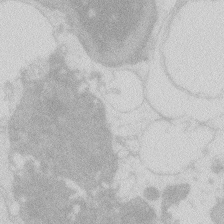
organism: Zebrafish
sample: Macrophage